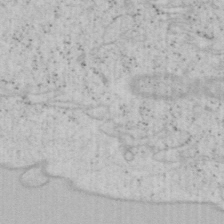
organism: Human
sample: HeLa cells